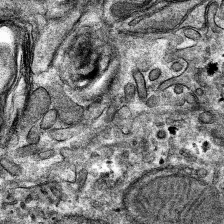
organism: Mouse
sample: Mouse hepatocytes